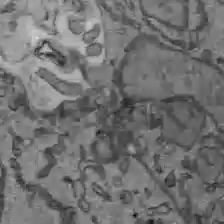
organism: C57BL Mouse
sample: Liver